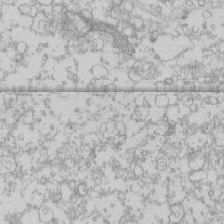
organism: Human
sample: CRL-1474